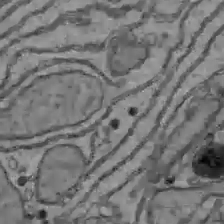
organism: C57BL Mouse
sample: Liver